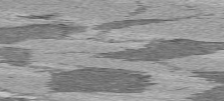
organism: C57BL Mouse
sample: Heart